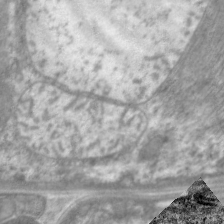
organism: C. elegans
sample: Pharynx